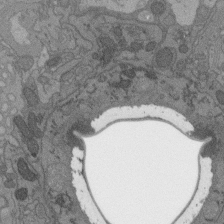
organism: C. elegans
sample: AFD neurons C. elegans